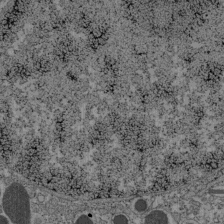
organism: C57BL Mouse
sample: Pancreatic islet